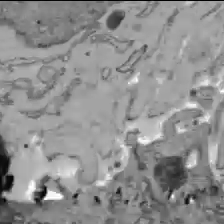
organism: C57BL Mouse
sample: Liver